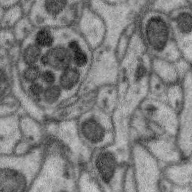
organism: Zebra finch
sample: Brain